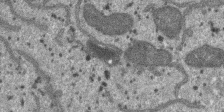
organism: Human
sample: Lung epithelial cells infected with SARS-CoV-2